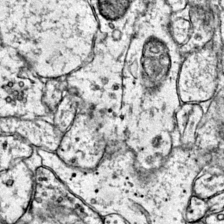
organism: Mouse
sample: Primary visual cortex